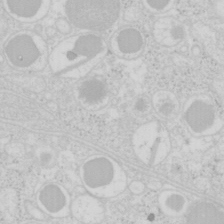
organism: Mouse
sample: Pancreas